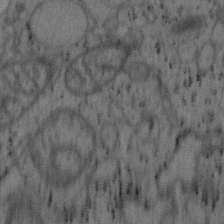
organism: Human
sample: HeLa cells